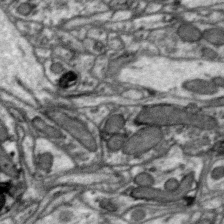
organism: Zebra finch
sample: Brain